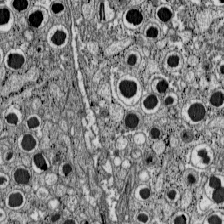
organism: C57BL Mouse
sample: Pancreatic islet